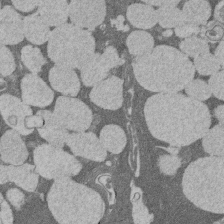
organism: Rat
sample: Salivary granule